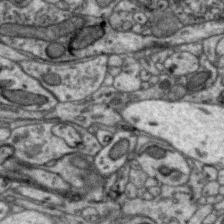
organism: Zebra finch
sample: Brain